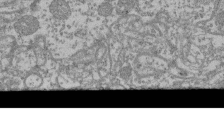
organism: Mouse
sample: Glomerulus